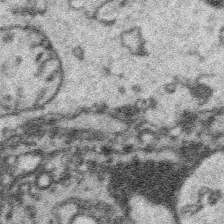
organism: Platynereis dumerilii